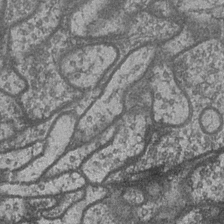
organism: Drosophila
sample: Optic medulla